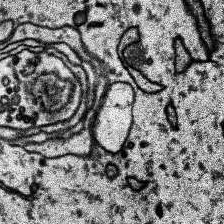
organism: Human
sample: Temporal Lobe